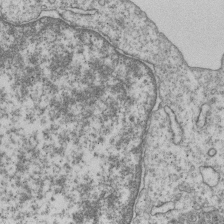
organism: Human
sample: MDA-MB-231 cells